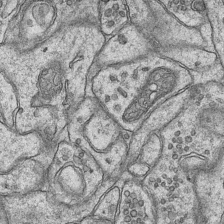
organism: Mouse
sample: CA1 Hippocampus